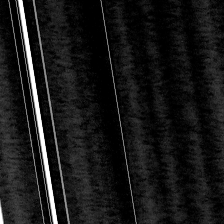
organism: Mouse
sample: OT-I killer T cells with ID8 ovarian cancer cells